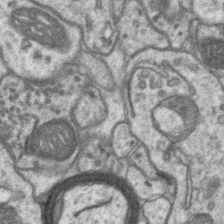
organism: Mouse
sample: CA1 Hippocampus